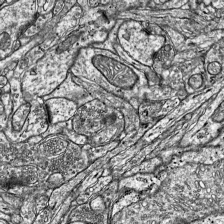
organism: Mouse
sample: Visual Cortex